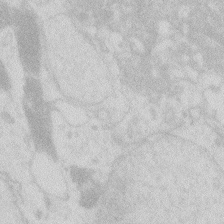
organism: Zebrafish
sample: Macrophage